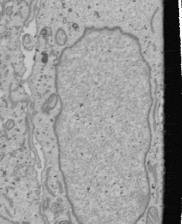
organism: Human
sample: Mitochondria in U2OS cells